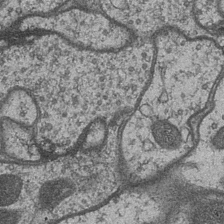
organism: Drosophila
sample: Optic medulla